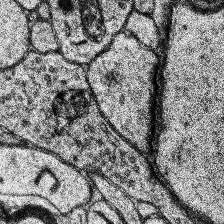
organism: Human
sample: Temporal Lobe